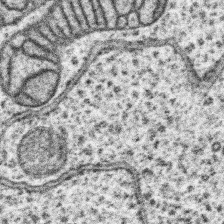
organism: Human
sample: HeLa cells